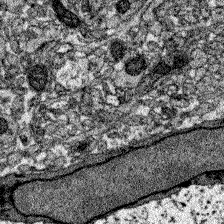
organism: Zebrafish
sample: Larval olfactory bulb